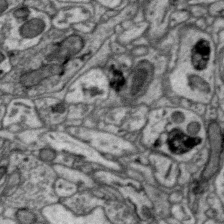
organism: Zebra finch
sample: Brain